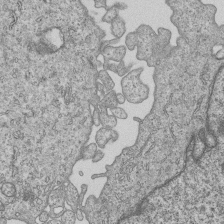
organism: Human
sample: MDA-MB-231 cells